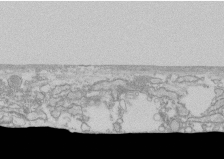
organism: Human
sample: CRL-1474